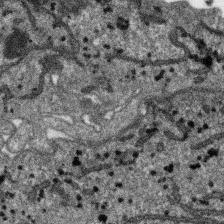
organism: Human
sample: Lung epithelial cells infected with SARS-CoV-2